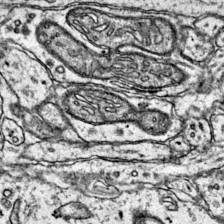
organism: Mouse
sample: Primary visual cortex